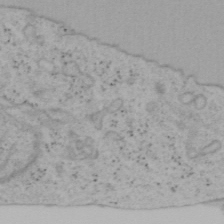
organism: Human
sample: HeLa cells